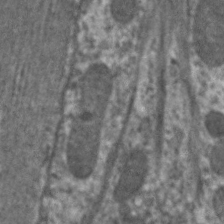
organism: C. elegans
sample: Pharynx